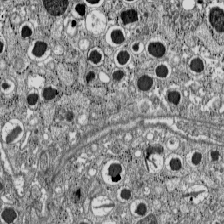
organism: C57BL Mouse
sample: Pancreatic islet